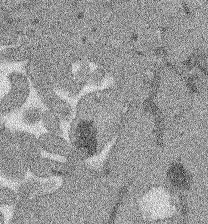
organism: Human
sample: HeLa cells